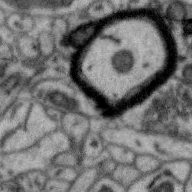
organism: Zebra finch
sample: Brain